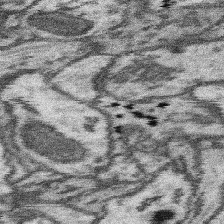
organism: Mouse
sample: Somatosensory cortex neuropil